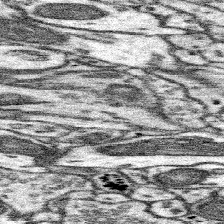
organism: Mouse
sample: Somatosensory cortex neuropil